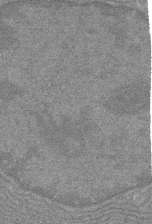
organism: Rat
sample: Salivary granule